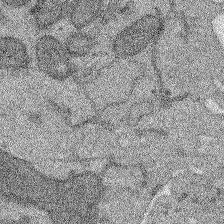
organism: Human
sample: HeLa cells